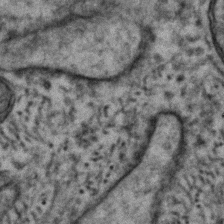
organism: Human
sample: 1205lu cells